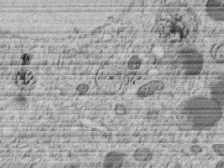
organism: C. elegans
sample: C. elegans embryo early stage